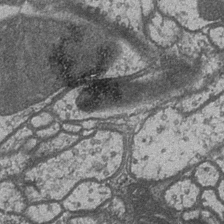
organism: Drosophila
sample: Optic medulla